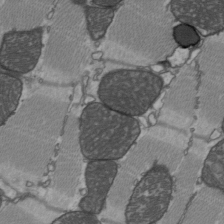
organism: C57BL Mouse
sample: Heart